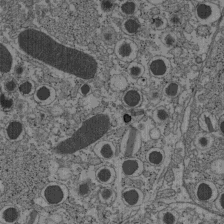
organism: C57BL Mouse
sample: Pancreatic islet